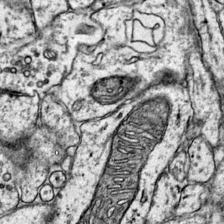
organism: Mouse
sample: Primary visual cortex